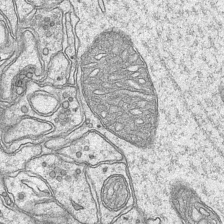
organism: Mouse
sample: CA1 Hippocampus